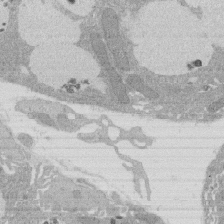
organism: Rat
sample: Salivary granule